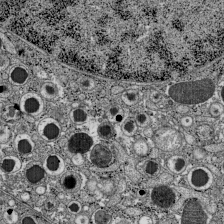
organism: C57BL Mouse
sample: Pancreatic islet